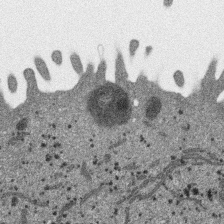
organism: Human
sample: Lung epithelial cells infected with SARS-CoV-2